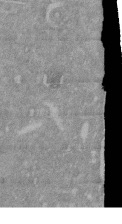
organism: Mouse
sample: ED-1 cell nuclei; centrioles